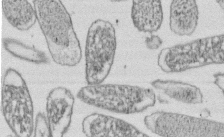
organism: E. coli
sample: Bacterial nucleoid